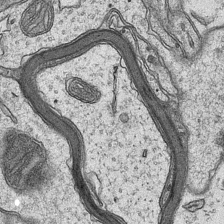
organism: Mouse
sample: CA1 Hippocampus